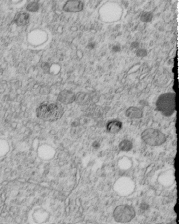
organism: C. elegans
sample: C. elegans embryo early stage